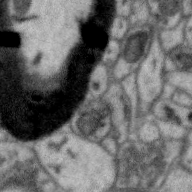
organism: Zebra finch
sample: Brain